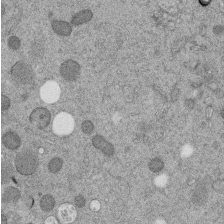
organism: C. elegans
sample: C. elegans embryo early stage